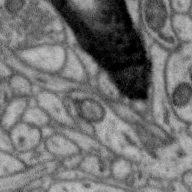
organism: Zebra finch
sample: Brain